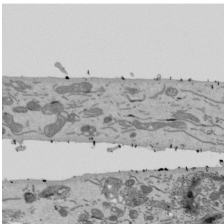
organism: Mouse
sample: ED-1 cell nuclei; centrioles